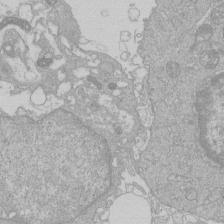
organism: Human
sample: Macrophage cells